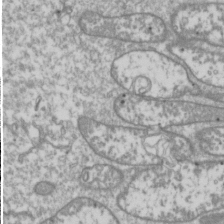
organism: Drosophila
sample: Cell division; meiosis; drosophila spermatocytes